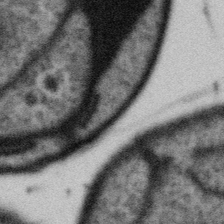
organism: Gemmata obscuriglobus